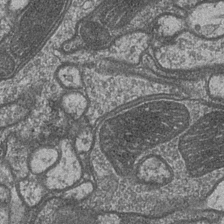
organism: Drosophila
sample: Optic medulla